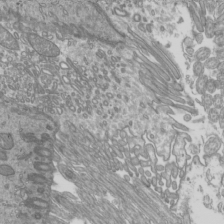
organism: Mouse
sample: Cilia; mouse epididymis